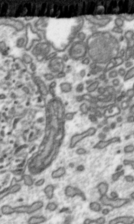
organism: Toxoplasma gondii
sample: Parasites in a vacuole inside a host cell